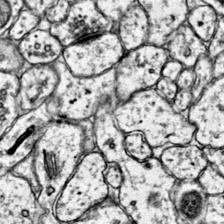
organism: Mouse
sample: Primary visual cortex